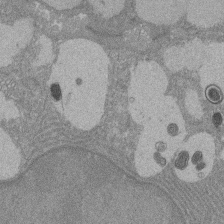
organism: Rat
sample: Salivary granule